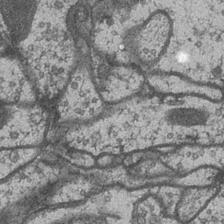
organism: Drosophila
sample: Optic medulla